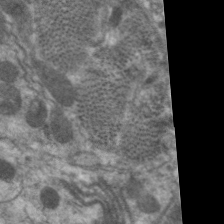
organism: C. elegans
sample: Pharynx